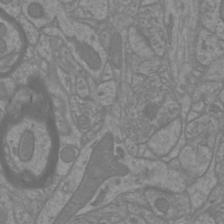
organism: Mouse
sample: Cortical neurons